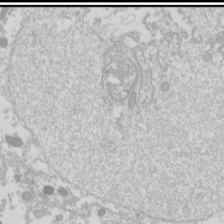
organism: Drosophila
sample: Cell division; meiosis; drosophila spermatocytes